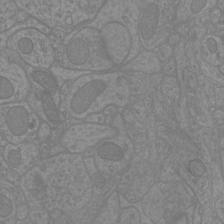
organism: Mouse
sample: Cortical neurons